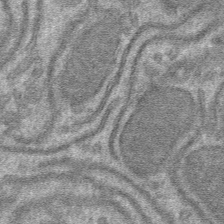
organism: Mouse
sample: Mouse hepatocytes